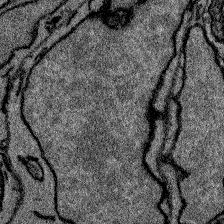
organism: Zebrafish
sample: Larval olfactory bulb